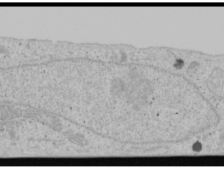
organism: Human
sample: Mitochondria in U2OS cells